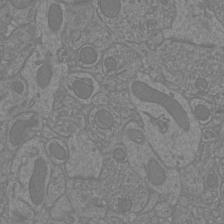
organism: Mouse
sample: Cortical neurons